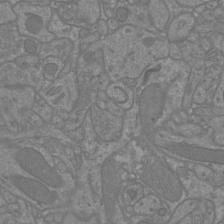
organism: Mouse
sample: Cortical neurons